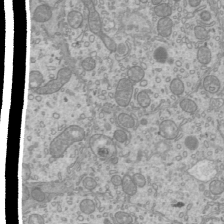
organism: Mouse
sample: Cilia; mouse epididymis